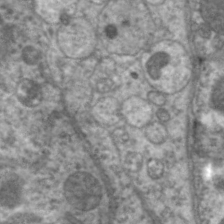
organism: C. elegans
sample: Pharynx